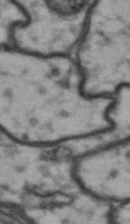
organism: Drosophila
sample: Brain